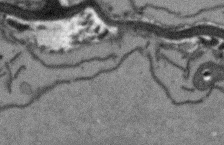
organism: Arabidopsis thaliana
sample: Root tip